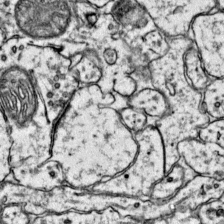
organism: Mouse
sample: Primary visual cortex